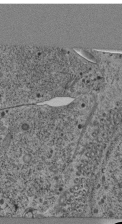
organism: C. elegans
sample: C. elegans pharynx